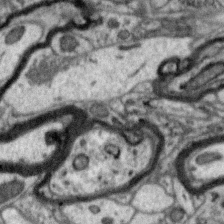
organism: Zebra finch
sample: Brain